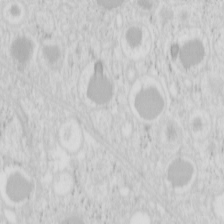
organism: Mouse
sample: Pancreas